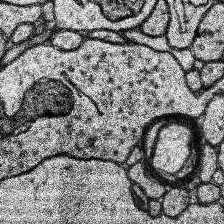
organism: Human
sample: Temporal Lobe